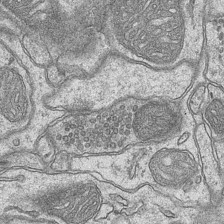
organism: Mouse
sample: CA1 Hippocampus